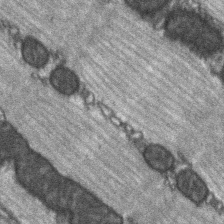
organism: C57BL Mouse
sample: Soleus